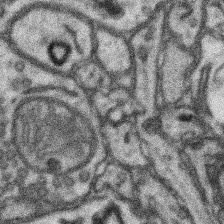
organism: Mouse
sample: Somatosensory cortex neuropil